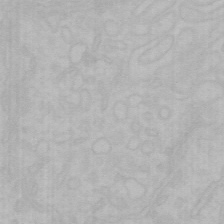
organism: Mouse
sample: Choroid plexus